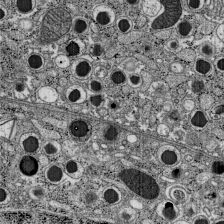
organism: C57BL Mouse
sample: Pancreatic islet